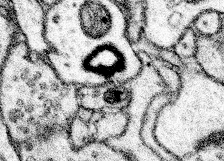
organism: Mouse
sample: Somatosensory cortex neuropil